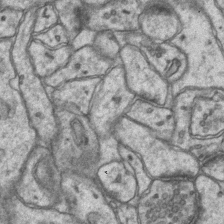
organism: Mouse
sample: CA1 Hippocampus